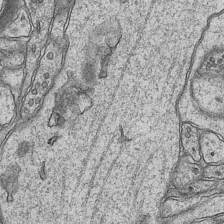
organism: Mouse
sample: CA1 Hippocampus